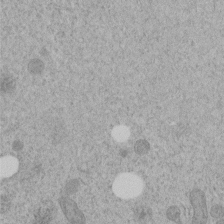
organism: C. elegans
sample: C. elegans embryo early stage